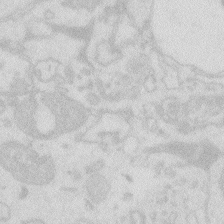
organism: Zebrafish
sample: Macrophage